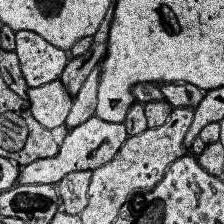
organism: Human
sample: Temporal Lobe